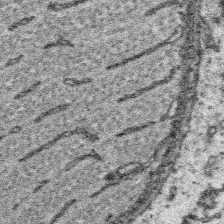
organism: Platynereis dumerilii